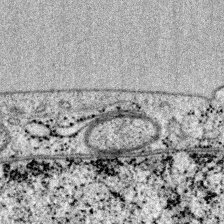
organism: Human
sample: HeLa cells